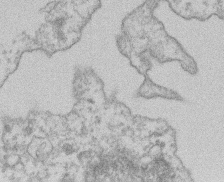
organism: Mouse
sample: T cell stromal cell synapse